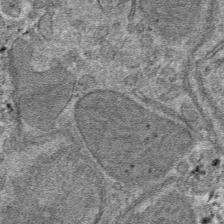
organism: Mouse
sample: Mouse hepatocytes